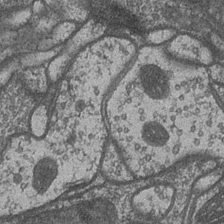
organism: Drosophila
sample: Optic medulla